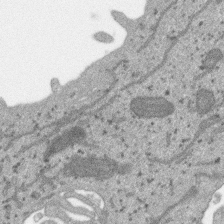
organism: Human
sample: Lung epithelial cells infected with SARS-CoV-2